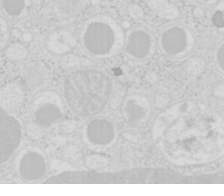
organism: Mouse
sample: Pancreas